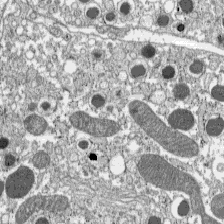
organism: C57BL Mouse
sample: Pancreatic islet